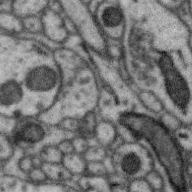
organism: Zebra finch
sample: Brain